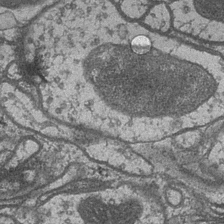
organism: Drosophila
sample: Optic medulla